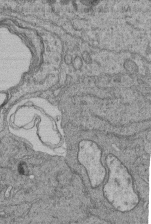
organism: Human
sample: Retinal organoid Rod and Cone cells